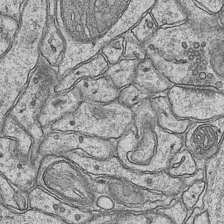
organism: Mouse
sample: CA1 Hippocampus